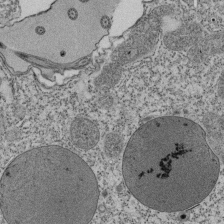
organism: Tetrahymena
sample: Cilia in tetrahymena